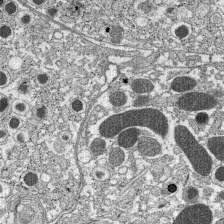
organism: C57BL Mouse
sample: Pancreatic islet